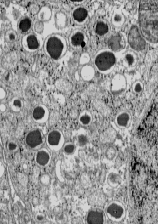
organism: C57BL Mouse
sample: Pancreatic islet